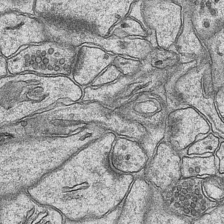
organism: Mouse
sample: CA1 Hippocampus